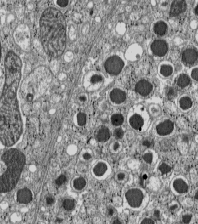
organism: C57BL Mouse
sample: Pancreatic islet